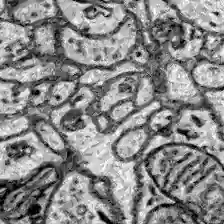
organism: Zebrafish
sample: Brain